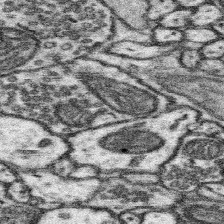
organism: Mouse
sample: Somatosensory cortex neuropil